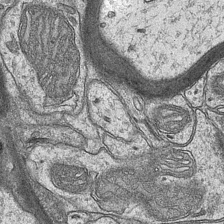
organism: Mouse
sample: CA1 Hippocampus